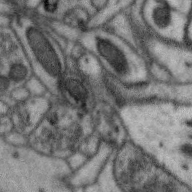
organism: Zebra finch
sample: Brain